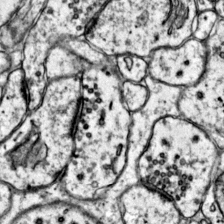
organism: Mouse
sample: Primary visual cortex